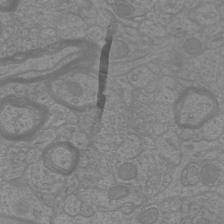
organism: Mouse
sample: Cortical neurons